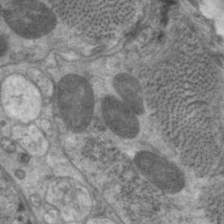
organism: C. elegans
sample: Pharynx